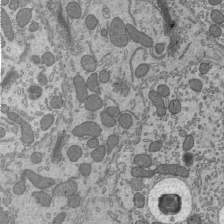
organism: Mouse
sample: Mouse epididymis efferent ductule cilia